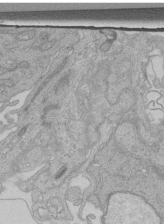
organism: Human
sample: Retinal organoid Rod and Cone cells